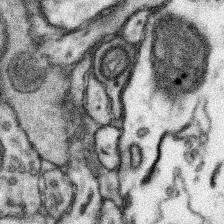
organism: Mouse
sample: Somatosensory cortex neuropil